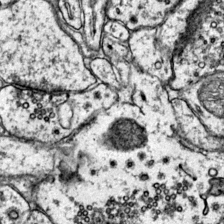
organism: Mouse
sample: Primary visual cortex